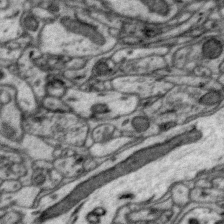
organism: Zebra finch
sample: Brain